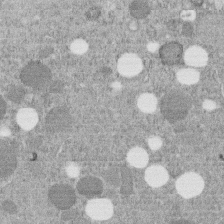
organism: C. elegans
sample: C. elegans embryo early stage